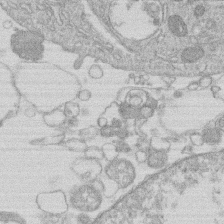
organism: Human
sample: Macrophage cells